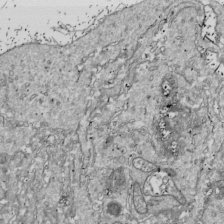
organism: Drosophila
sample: Cell division; meiosis; drosophila spermatocytes